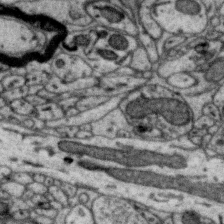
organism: Zebra finch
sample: Brain